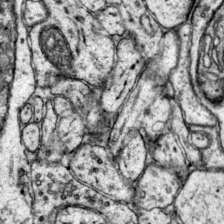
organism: Mouse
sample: Primary visual cortex